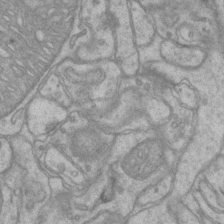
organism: Mouse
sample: CA1 Hippocampus